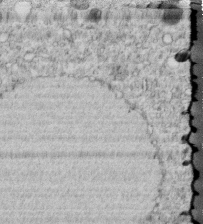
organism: C. elegans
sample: C. elegans embryo early stage